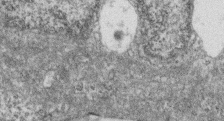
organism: Zebrafish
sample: Cilia; retinal pigment epithelium